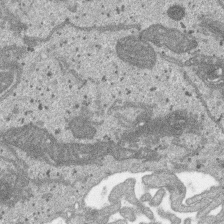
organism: Human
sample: Lung epithelial cells infected with SARS-CoV-2